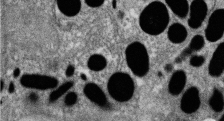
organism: Zebrafish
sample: Cilia; retinal pigment epithelium